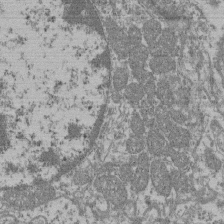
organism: Mouse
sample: Glomerulus